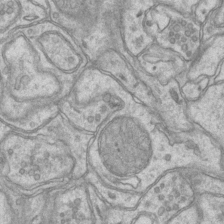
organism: Mouse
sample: CA1 Hippocampus